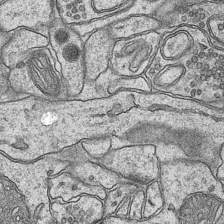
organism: Mouse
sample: CA1 Hippocampus